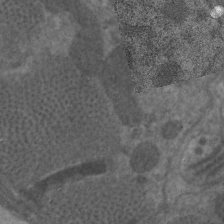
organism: C. elegans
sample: Pharynx